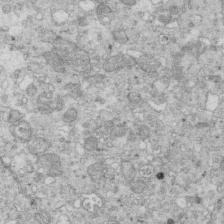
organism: Mouse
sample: Multiciliated cells